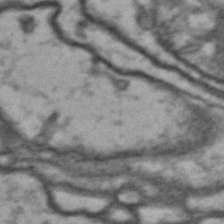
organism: Drosophila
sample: Brain